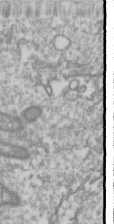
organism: Drosophila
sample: Cell division; meiosis; drosophila spermatocytes